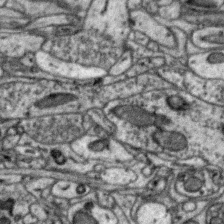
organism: Zebra finch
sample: Brain